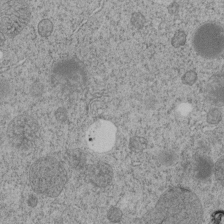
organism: C. elegans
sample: C. elegans embryo early stage